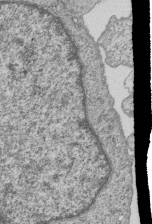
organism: Human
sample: MDA-MB-231 cells